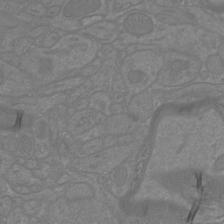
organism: Mouse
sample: Cortical neurons